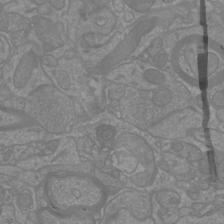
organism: Mouse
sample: Cortical neurons